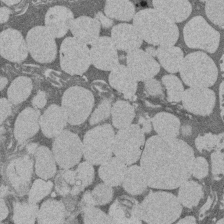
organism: Rat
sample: Salivary granule